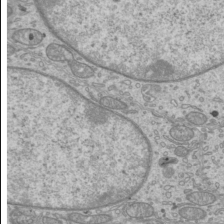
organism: Mouse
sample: Cilia; mouse epididymis